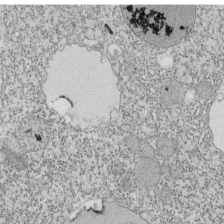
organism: Tetrahymena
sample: Cilia in tetrahymena